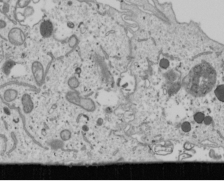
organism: Human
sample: Mitochondria in U2OS cells